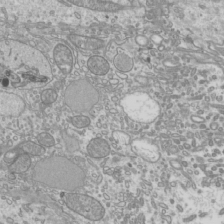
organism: Mouse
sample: Cilia; mouse epididymis